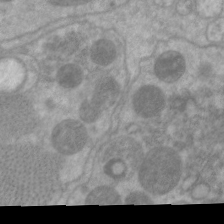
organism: C. elegans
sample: Pharynx